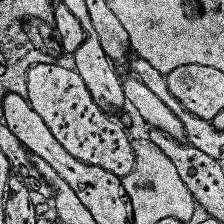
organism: Human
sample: Temporal Lobe